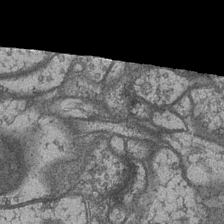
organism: Drosophila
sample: Optic medulla